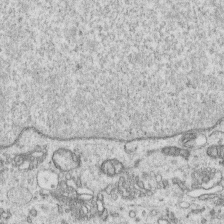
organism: Human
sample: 1205lu cells